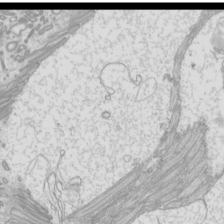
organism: Mouse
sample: Cilia; mouse epididymis